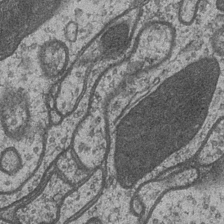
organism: Drosophila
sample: Optic medulla